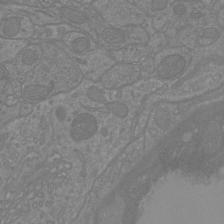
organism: Mouse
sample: Cortical neurons